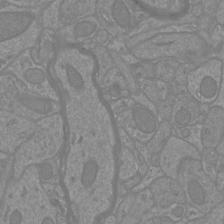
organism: Mouse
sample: Cortical neurons